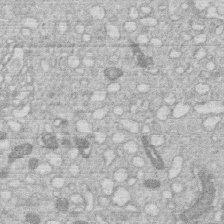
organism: Human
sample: Macrophage cells